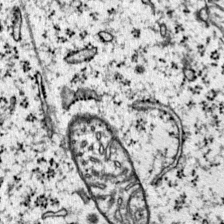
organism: Mouse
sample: Primary visual cortex